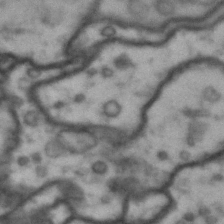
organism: Drosophila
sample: Brain